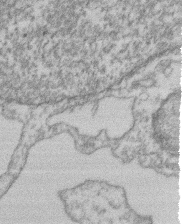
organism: Mouse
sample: T cell stromal cell synapse